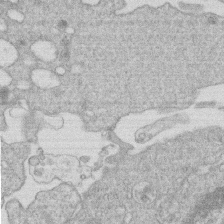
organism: Human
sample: Macrophage cells